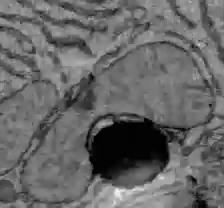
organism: C57BL Mouse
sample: Liver